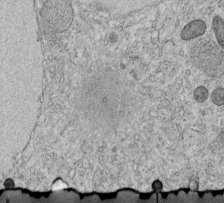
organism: C. elegans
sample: C. elegans embryo early stage